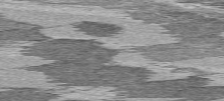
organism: C57BL Mouse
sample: Heart